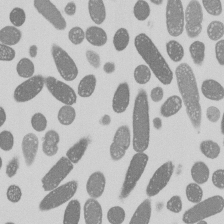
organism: E. coli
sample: Bacterial nucleoid